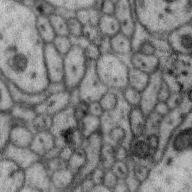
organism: Zebra finch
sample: Brain